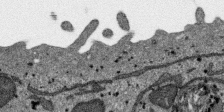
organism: Human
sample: Lung epithelial cells, uninfected (mock) control